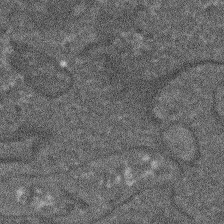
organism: Arabidopsis thaliana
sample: Root tip